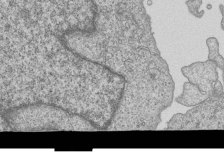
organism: Human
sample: MDA-MB-231 cells